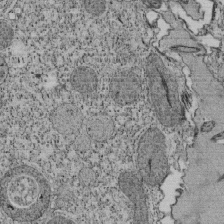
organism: Tetrahymena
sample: Cilia in tetrahymena